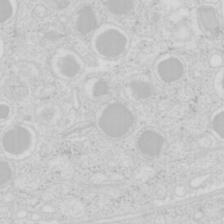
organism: Mouse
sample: Pancreas